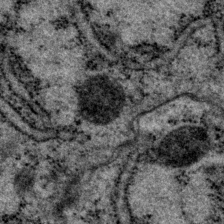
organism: P. pacificus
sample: Pharynx